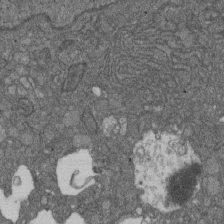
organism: Drosophila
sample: Nephrocyte